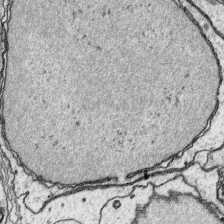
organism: Platynereis dumerilii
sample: Parapodia